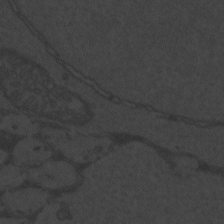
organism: Zebrafish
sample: Macrophage infected with Toxoplasma gondii